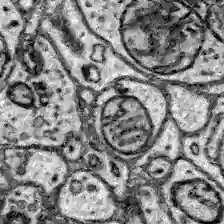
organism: Zebrafish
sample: Brain